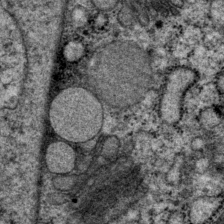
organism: P. pacificus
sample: Pharynx